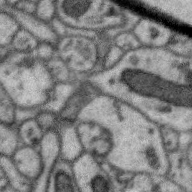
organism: Zebra finch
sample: Brain